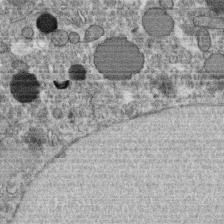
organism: C. elegans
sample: C. elegans oocyte; sperm cells